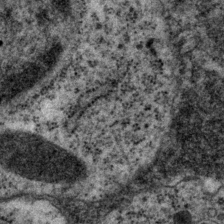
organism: P. pacificus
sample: Pharynx